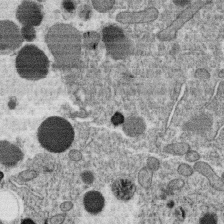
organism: C. elegans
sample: C. elegans oocyte; sperm cells